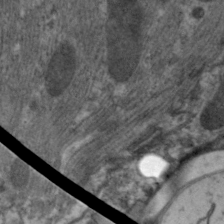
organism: C. elegans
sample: Pharynx